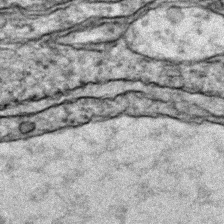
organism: Zebrafish